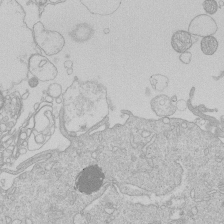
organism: Human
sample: Macrophage cells